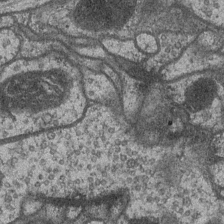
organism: Drosophila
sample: Optic medulla